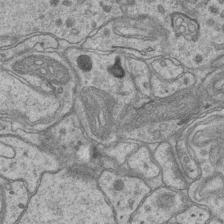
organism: Mouse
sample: CA1 Hippocampus